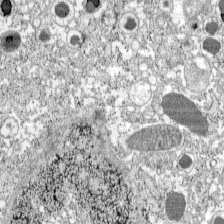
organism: C57BL Mouse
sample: Pancreatic islet